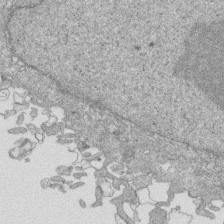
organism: Human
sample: HeLa cell HIV synapse